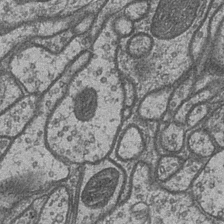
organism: Drosophila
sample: Optic medulla